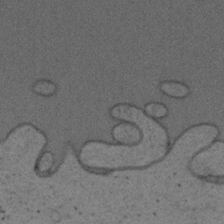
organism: Human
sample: HeLa cells